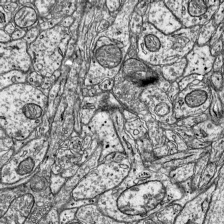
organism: Mouse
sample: Visual Cortex